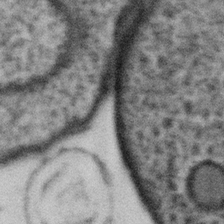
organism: Gemmata obscuriglobus